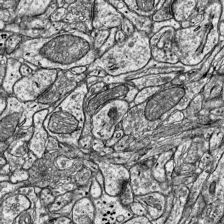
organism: Mouse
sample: Visual Cortex